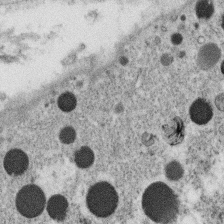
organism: C. elegans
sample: C. elegans oocyte; sperm cells